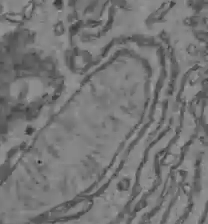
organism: C57BL Mouse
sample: Liver